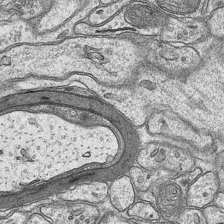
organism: Mouse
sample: CA1 Hippocampus